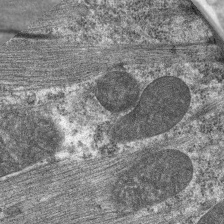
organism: C. elegans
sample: Pharynx